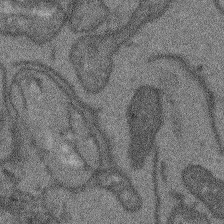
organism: Arabidopsis thaliana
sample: Root tip